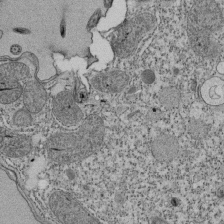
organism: Tetrahymena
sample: Cilia in tetrahymena